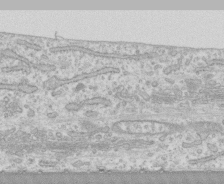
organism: Human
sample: CRL-1474